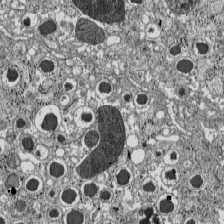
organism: C57BL Mouse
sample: Pancreatic islet